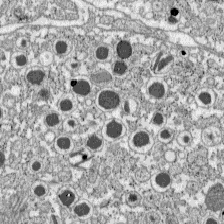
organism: C57BL Mouse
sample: Pancreatic islet